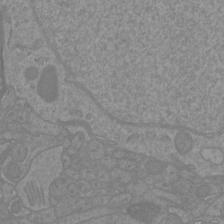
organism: Mouse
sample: Cortical neurons